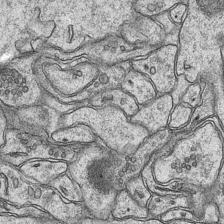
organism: Mouse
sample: CA1 Hippocampus